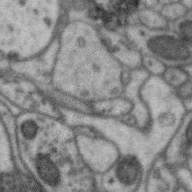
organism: Zebra finch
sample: Brain